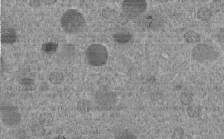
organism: C. elegans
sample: C. elegans embryo early stage